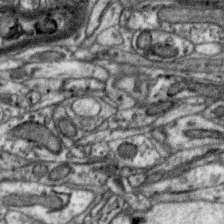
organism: Zebra finch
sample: Brain